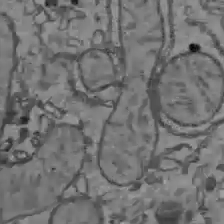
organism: C57BL Mouse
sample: Liver